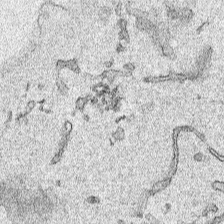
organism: Human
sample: Mitochondria in HCT116 cells